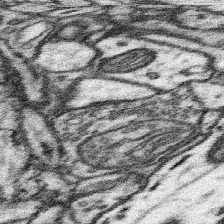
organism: Mouse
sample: Somatosensory cortex neuropil